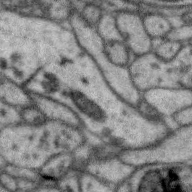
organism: Zebra finch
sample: Brain